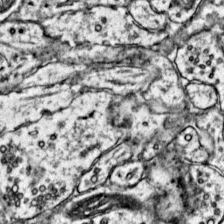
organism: Mouse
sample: Primary visual cortex